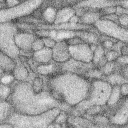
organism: Rabbit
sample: Retina